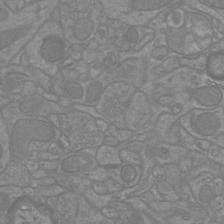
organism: Mouse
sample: Cortical neurons